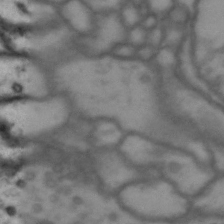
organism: Drosophila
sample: Brain